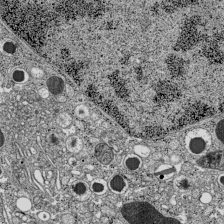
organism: C57BL Mouse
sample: Pancreatic islet